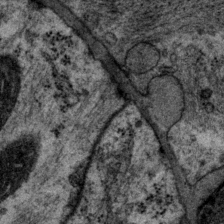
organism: P. pacificus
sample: Pharynx